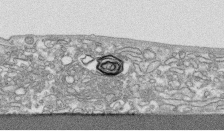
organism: Human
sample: CRL-1474